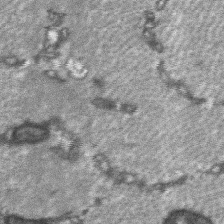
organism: C57BL Mouse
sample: Soleus